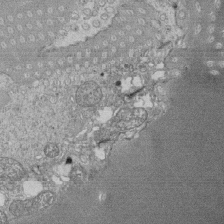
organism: Tetrahymena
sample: Cilia in tetrahymena